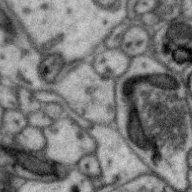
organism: Zebra finch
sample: Brain